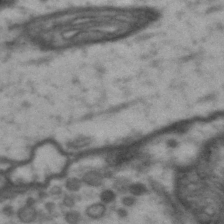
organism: Drosophila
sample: Brain